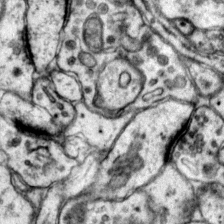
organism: Mouse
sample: Primary visual cortex